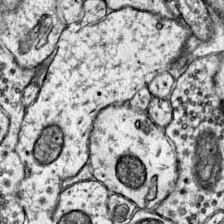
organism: Mouse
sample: Primary visual cortex